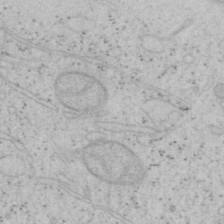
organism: Human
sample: HeLa cells